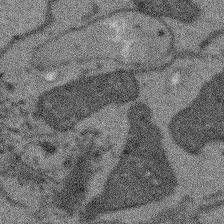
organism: Arabidopsis thaliana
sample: Root tip